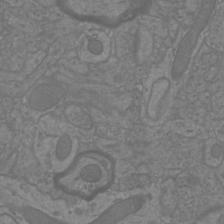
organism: Mouse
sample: Cortical neurons